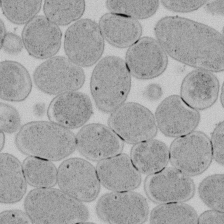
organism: E. coli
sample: Bacterial nucleoid